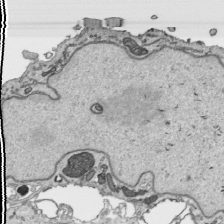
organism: Human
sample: Mitochondria in HCT116 cells